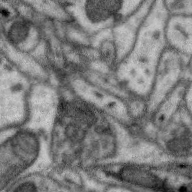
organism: Zebra finch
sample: Brain